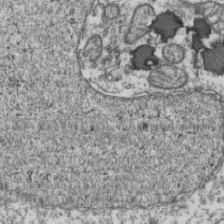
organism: Human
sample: Activated Jurkat CD4+ T cells